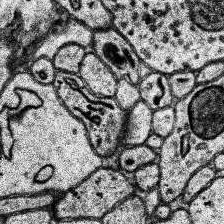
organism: Human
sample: Temporal Lobe